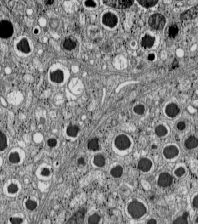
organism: C57BL Mouse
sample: Pancreatic islet